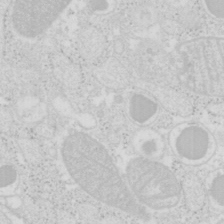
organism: Mouse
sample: Pancreas